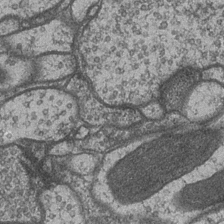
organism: Drosophila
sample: Optic medulla